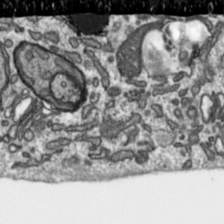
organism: Toxoplasma gondii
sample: Parasites in a vacuole inside a host cell